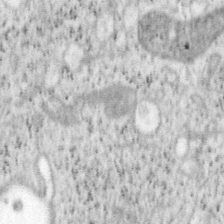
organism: Mouse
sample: OT-I killer T cells with ID8 ovarian cancer cells